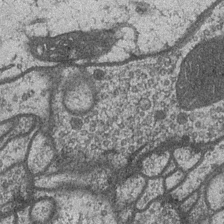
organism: Drosophila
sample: Optic medulla